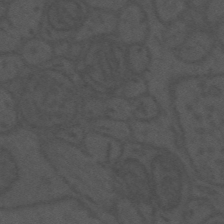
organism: Mouse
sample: Suprachiasmatic nucleus